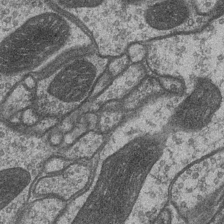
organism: Drosophila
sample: Optic medulla